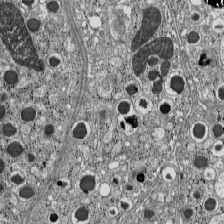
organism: C57BL Mouse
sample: Pancreatic islet